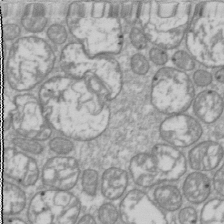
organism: Drosophila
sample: Cell division; meiosis; drosophila spermatocytes